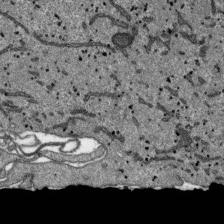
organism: Human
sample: Lung epithelial cells, uninfected (mock) control